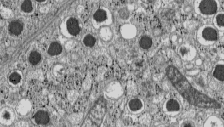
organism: C57BL Mouse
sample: Pancreatic islet